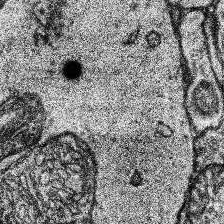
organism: Human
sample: Temporal Lobe